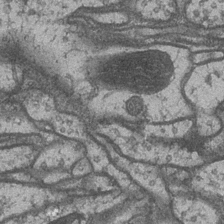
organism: Drosophila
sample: Optic medulla